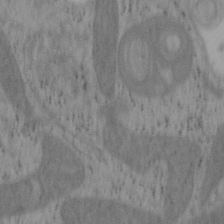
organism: Mouse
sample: OT-I killer T cells with ID8 ovarian cancer cells